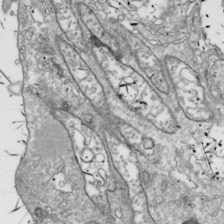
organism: Drosophila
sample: Cell division; meiosis; drosophila spermatocytes